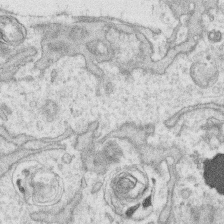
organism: Human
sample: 1205lu cells